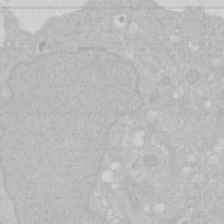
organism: Human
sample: HIV infected U937 cells